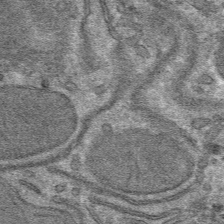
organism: Mouse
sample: Mouse hepatocytes